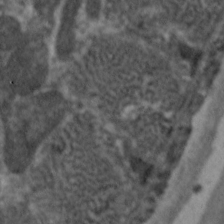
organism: C. elegans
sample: Pharynx